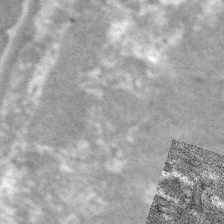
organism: C. elegans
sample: Pharynx